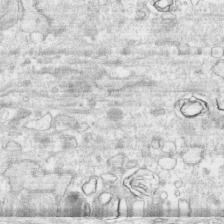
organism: Human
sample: CRL-1474